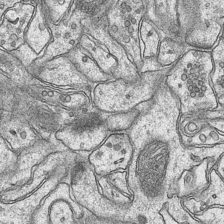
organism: Mouse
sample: CA1 Hippocampus